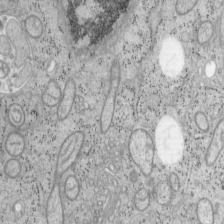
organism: Mouse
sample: OT-I killer T cells with ID8 ovarian cancer cells